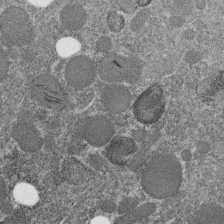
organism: C. elegans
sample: C. elegans embryo early stage